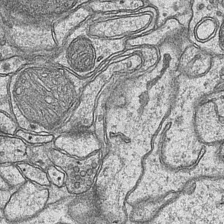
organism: Mouse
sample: CA1 Hippocampus